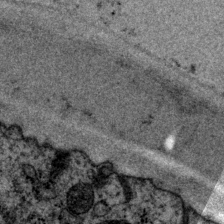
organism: P. pacificus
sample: Pharynx